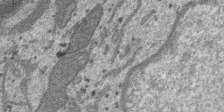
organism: Human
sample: Lung epithelial cells infected with SARS-CoV-2